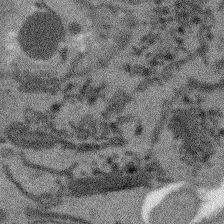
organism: Arabidopsis thaliana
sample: Root tip